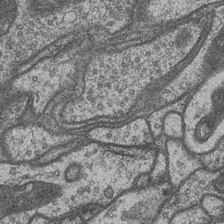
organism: Drosophila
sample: Optic medulla